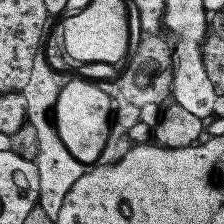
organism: Human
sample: Temporal Lobe